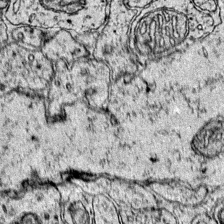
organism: Mouse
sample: Primary visual cortex